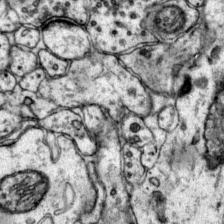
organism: Mouse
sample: Primary visual cortex